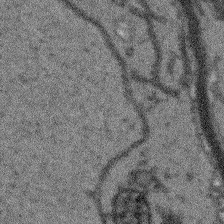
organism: Arabidopsis thaliana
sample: Root tip